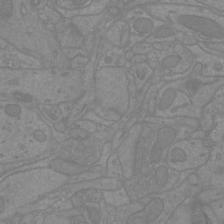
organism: Mouse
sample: Cortical neurons